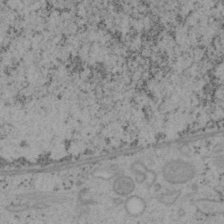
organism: Human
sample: HeLa cells